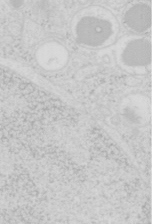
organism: Mouse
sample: Pancreas